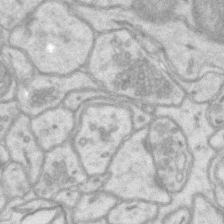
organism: Mouse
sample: CA1 Hippocampus